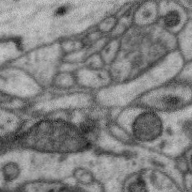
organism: Zebra finch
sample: Brain